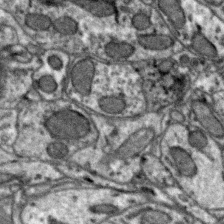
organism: Zebra finch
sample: Brain